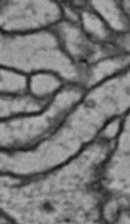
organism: Drosophila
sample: Brain